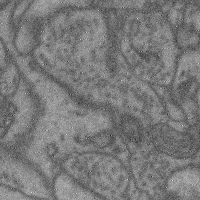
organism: Mouse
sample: Cerebral cortex